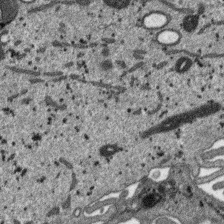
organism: Human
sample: Lung epithelial cells infected with SARS-CoV-2